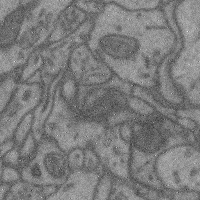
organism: Mouse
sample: Cerebral cortex